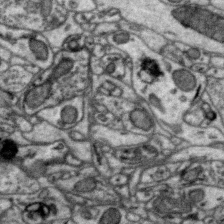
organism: Zebra finch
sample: Brain